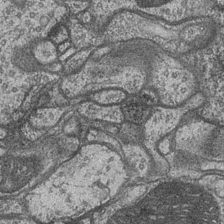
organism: Drosophila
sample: Optic medulla